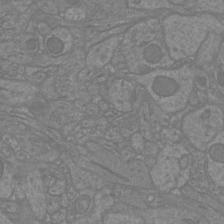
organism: Mouse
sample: Cortical neurons